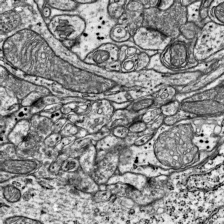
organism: Mouse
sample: Visual Cortex